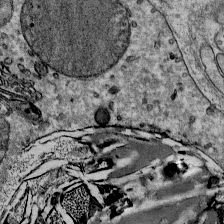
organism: Mouse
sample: Mouse Salivary gland